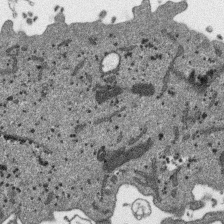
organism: Human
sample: Lung epithelial cells infected with SARS-CoV-2